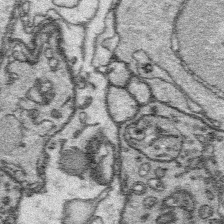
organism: Platynereis dumerilii